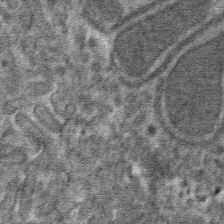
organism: Mouse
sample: Mouse hepatocytes